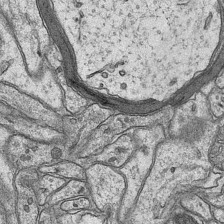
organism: Mouse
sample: CA1 Hippocampus